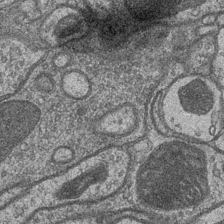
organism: Drosophila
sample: Optic medulla